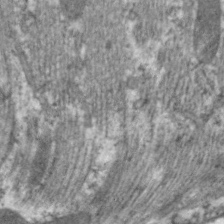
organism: C. elegans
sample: Pharynx